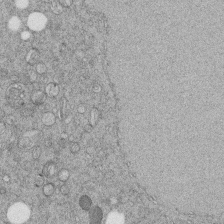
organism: C. elegans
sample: C. elegans embryo early stage